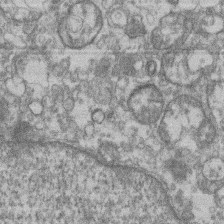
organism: Mouse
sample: T cell stromal cell synapse